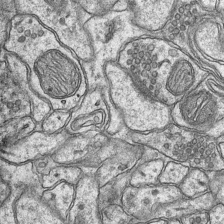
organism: Mouse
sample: CA1 Hippocampus